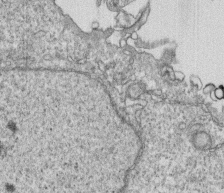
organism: Human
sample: HeLa cell HIV synapse